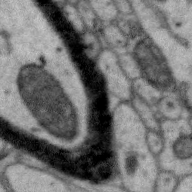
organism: Zebra finch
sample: Brain